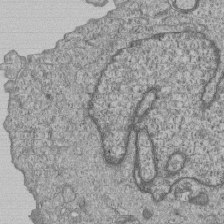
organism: Human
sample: MDA-MB-231 cells